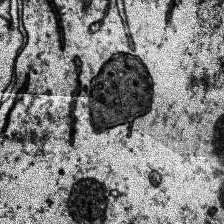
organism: Human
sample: Temporal Lobe